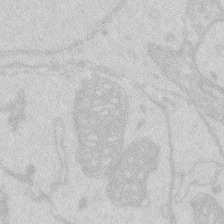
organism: Zebrafish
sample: Macrophage